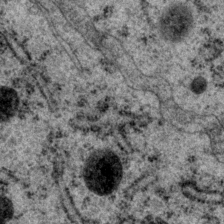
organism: P. pacificus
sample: Pharynx